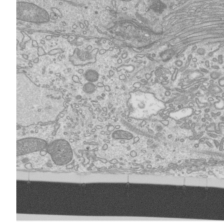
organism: Mouse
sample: Cilia; mouse epididymis